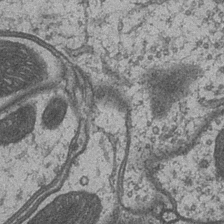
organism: Drosophila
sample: Optic medulla